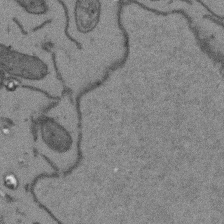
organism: Arabidopsis thaliana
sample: Root tip